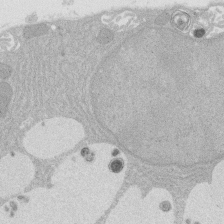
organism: Rat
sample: Salivary granule